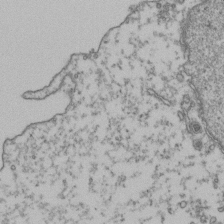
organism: Human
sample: Activated Jurkat CD4+ T cells